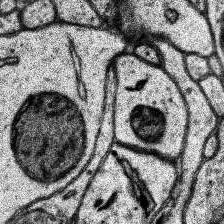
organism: Human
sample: Temporal Lobe